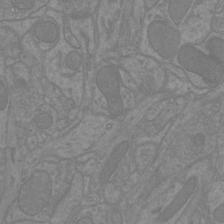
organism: Mouse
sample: Cortical neurons